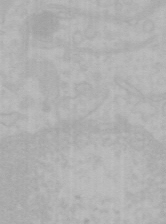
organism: Mouse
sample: Choroid plexus